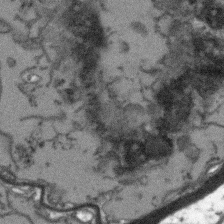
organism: Arabidopsis thaliana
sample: Root tip